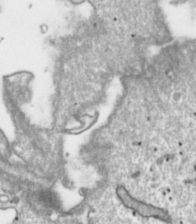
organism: Toxoplasma gondii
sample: Parasites in a vacuole inside a host cell